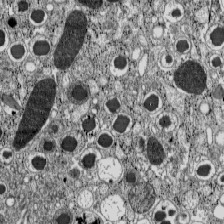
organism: C57BL Mouse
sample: Pancreatic islet